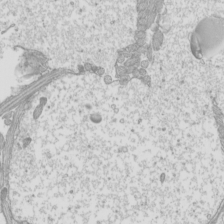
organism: Mouse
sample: Cilia; mouse epididymis